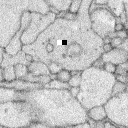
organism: Rabbit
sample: Retina